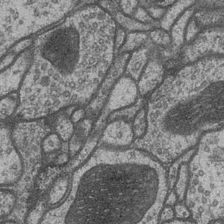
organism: Drosophila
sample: Optic medulla